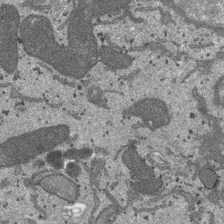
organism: Human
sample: Lung epithelial cells infected with SARS-CoV-2